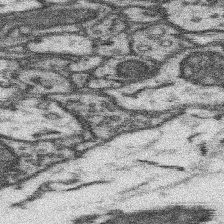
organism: Mouse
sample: Somatosensory cortex neuropil